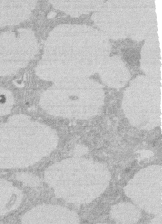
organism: Rat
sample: Salivary granule